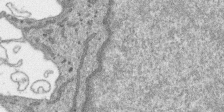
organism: Human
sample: Lung epithelial cells infected with SARS-CoV-2